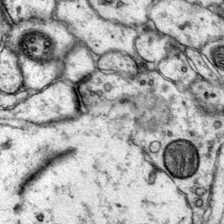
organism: Mouse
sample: Primary visual cortex